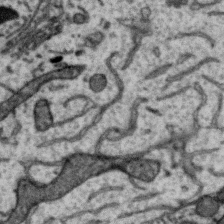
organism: Zebra finch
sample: Brain